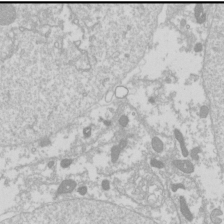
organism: Drosophila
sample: Cell division; meiosis; drosophila spermatocytes